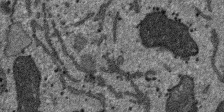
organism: Human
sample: Lung epithelial cells infected with SARS-CoV-2